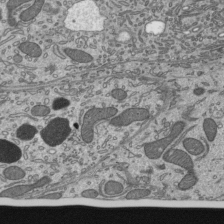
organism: Mouse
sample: Mouse epididymis efferent ductule cilia